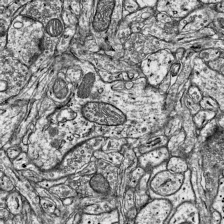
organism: Mouse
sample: Visual Cortex